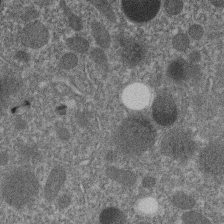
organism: C. elegans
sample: C. elegans embryo early stage